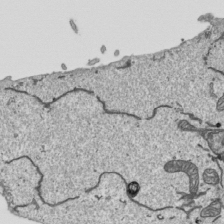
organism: Human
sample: Mitochondria in HCT116 cells